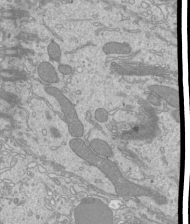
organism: Mouse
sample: Cilia; mouse epididymis